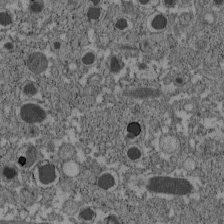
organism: C57BL Mouse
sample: Pancreatic islet